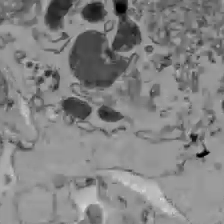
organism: C57BL Mouse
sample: Liver